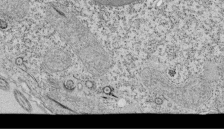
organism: Tetrahymena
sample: Cilia in tetrahymena